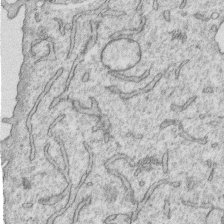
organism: Human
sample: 1205lu cells